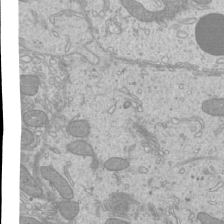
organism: Mouse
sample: Cilia; mouse epididymis